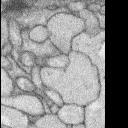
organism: Rabbit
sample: Retina